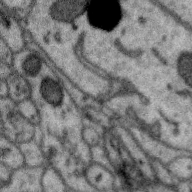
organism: Zebra finch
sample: Brain